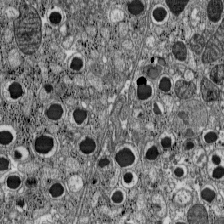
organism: C57BL Mouse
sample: Pancreatic islet